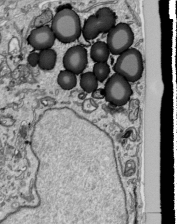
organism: Human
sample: Mitochondria in HCT116 cells